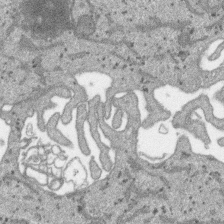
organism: Human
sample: Lung epithelial cells infected with SARS-CoV-2